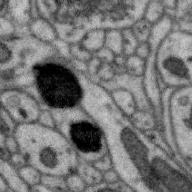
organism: Zebra finch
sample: Brain